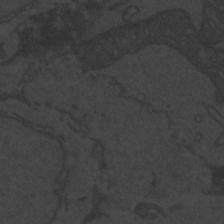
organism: Zebrafish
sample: Macrophage infected with Toxoplasma gondii